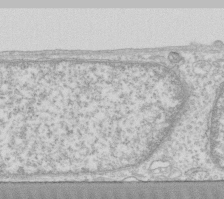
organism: Human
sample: Fibroblast cells